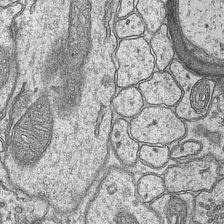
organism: Mouse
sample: CA1 Hippocampus